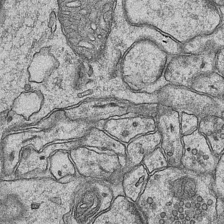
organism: Mouse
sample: CA1 Hippocampus